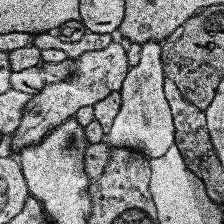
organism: Human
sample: Temporal Lobe